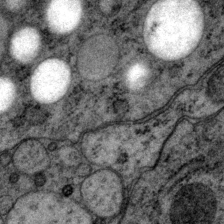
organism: P. pacificus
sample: Pharynx